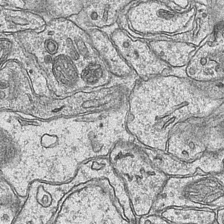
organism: Mouse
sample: CA1 Hippocampus